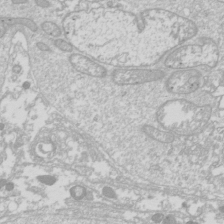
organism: Drosophila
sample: Cell division; meiosis; drosophila spermatocytes